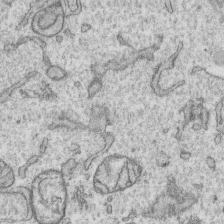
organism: Human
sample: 1205lu cells